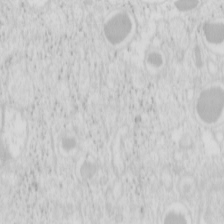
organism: Mouse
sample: Pancreas